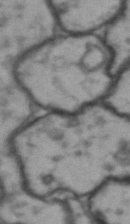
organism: Drosophila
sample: Brain